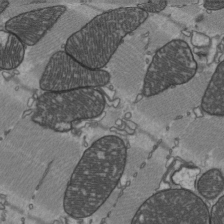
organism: C57BL Mouse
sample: Heart